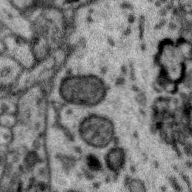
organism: Zebra finch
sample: Brain